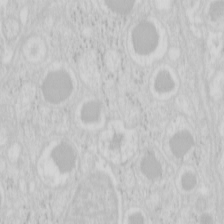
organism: Mouse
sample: Pancreas